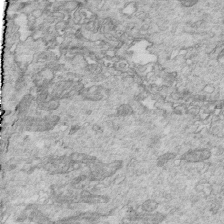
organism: Mouse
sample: Multiciliated cells